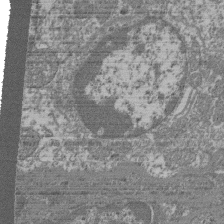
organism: Mouse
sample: Glomerulus